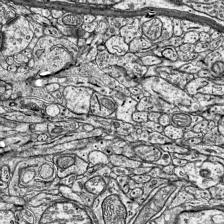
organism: Mouse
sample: Visual Cortex